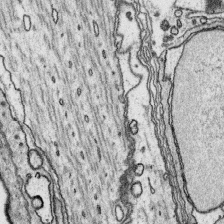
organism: Platynereis dumerilii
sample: Parapodia